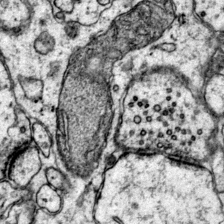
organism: Mouse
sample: Primary visual cortex